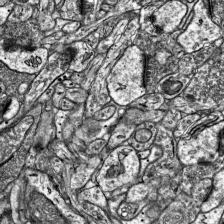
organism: Mouse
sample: Visual Cortex